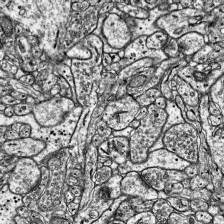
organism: Mouse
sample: Visual Cortex